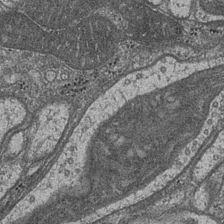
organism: Drosophila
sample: Optic medulla